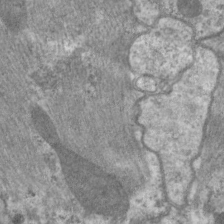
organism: C. elegans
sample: Pharynx